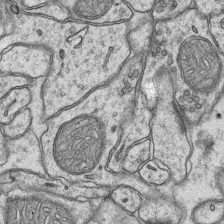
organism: Mouse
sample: CA1 Hippocampus